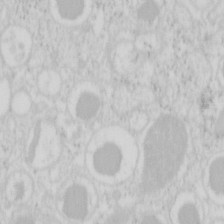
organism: Mouse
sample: Pancreas